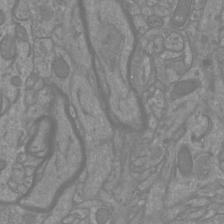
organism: Mouse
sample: Cortical neurons